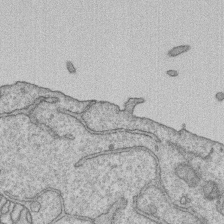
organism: Human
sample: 1205lu cells